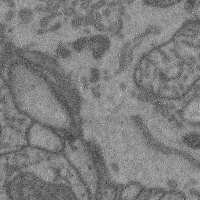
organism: Mouse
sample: Cerebral cortex